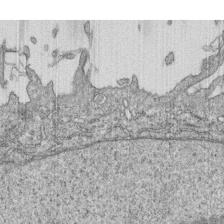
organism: Human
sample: HeLa cell HIV synapse